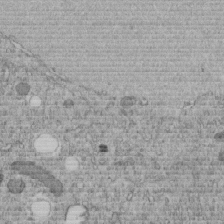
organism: C. elegans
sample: C. elegans embryo early stage